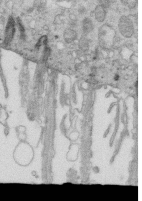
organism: Mouse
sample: Multiciliated cells